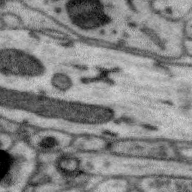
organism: Zebra finch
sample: Brain